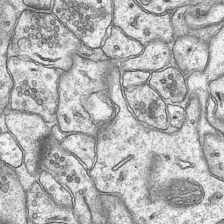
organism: Mouse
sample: CA1 Hippocampus